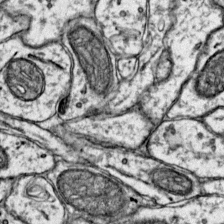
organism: Mouse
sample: Primary visual cortex